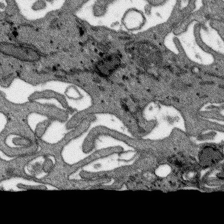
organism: Human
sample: Lung epithelial cells, uninfected (mock) control